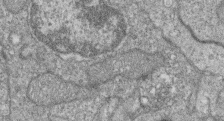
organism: Zebrafish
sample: Cilia; retinal pigment epithelium